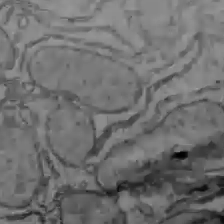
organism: C57BL Mouse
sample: Liver